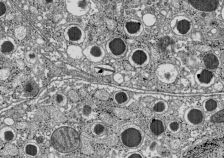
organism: C57BL Mouse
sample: Pancreatic islet